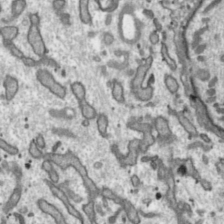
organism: Toxoplasma gondii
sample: Parasites in a vacuole inside a host cell